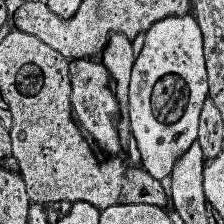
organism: Human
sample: Temporal Lobe